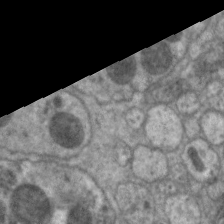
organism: C. elegans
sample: Pharynx